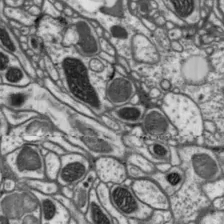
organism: Drosophila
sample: Protocerebral bridge